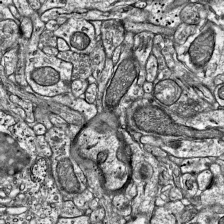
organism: Mouse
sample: Visual Cortex